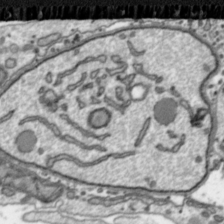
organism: Toxoplasma gondii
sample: Parasites in a vacuole inside a host cell